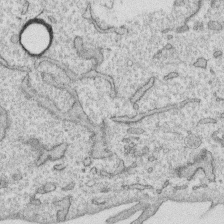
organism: Human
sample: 1205lu cells